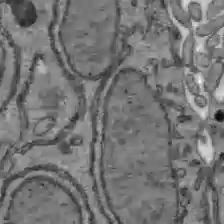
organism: C57BL Mouse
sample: Liver